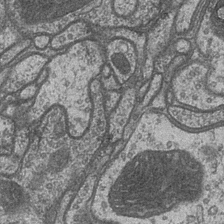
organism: Drosophila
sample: Optic medulla